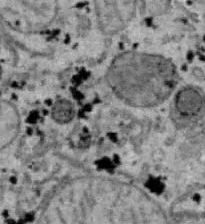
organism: Mouse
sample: Liver from an obese (ob/ob) mouse